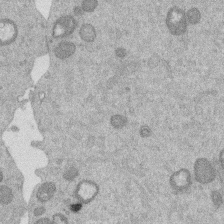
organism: Mouse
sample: Dividing mouse embryo 1 cell stage